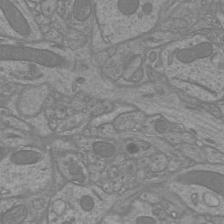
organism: Mouse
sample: Cortical neurons